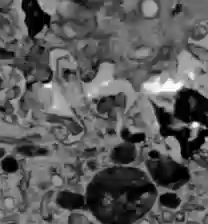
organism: C57BL Mouse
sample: Liver